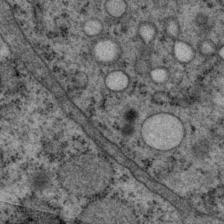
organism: P. pacificus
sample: Pharynx